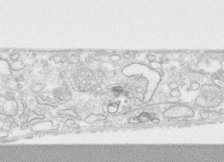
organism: Human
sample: CRL-1474